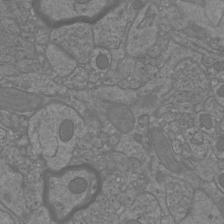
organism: Mouse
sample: Cortical neurons